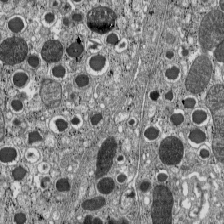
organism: C57BL Mouse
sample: Pancreatic islet